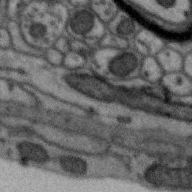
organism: Zebra finch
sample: Brain